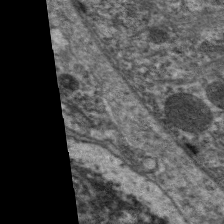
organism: C. elegans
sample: Pharynx